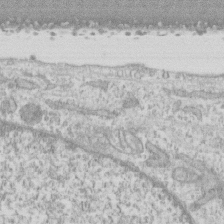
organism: Human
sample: CRL-1474